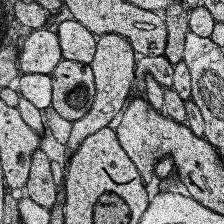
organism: Human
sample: Temporal Lobe